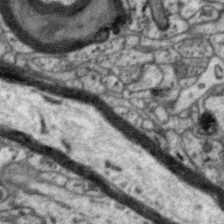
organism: Zebra finch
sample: Brain